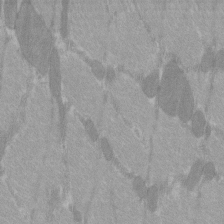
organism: C57BL Mouse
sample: Tibialis anterior muscle cell